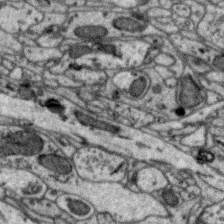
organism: Zebra finch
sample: Brain